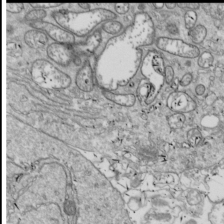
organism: Drosophila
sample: Cell division; meiosis; drosophila spermatocytes